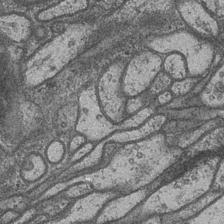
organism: Drosophila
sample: Optic medulla